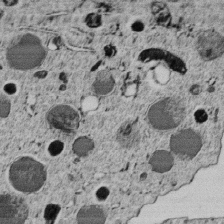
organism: C. elegans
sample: C. elegans embryo early stage